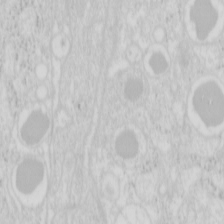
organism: Mouse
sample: Pancreas